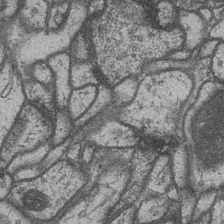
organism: Drosophila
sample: Optic medulla